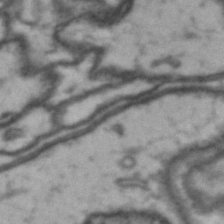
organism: Drosophila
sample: Brain